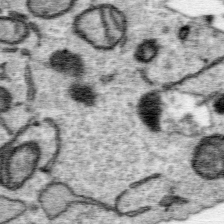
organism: Human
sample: HeLa cells